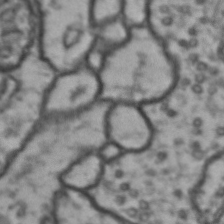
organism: Drosophila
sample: Brain